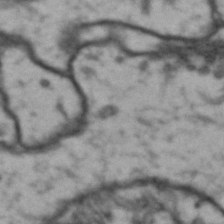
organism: Drosophila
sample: Brain